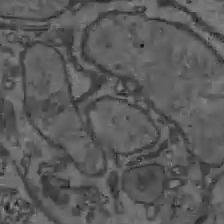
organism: C57BL Mouse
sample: Liver